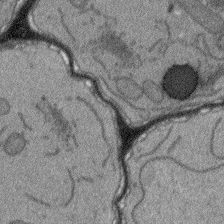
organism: Arabidopsis thaliana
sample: Root tip